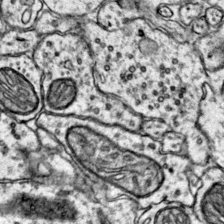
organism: Mouse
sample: Primary visual cortex